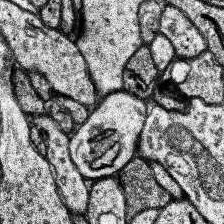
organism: Human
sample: Temporal Lobe